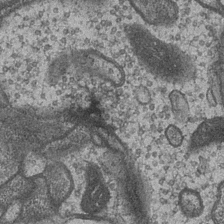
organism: Drosophila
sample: Optic medulla